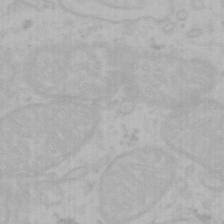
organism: Mouse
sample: Choroid plexus